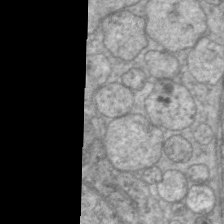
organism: C. elegans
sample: Pharynx